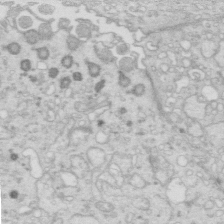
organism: Mouse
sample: Multiciliated cells